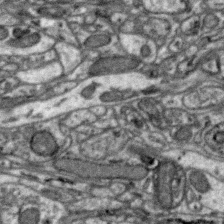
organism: Zebra finch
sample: Brain